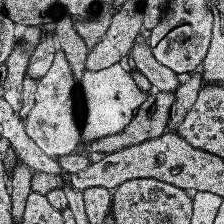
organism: Human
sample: Temporal Lobe